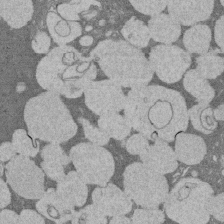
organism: Rat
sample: Salivary granule